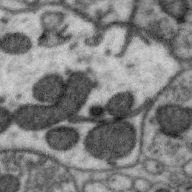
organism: Zebra finch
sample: Brain